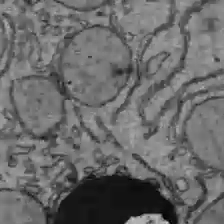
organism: C57BL Mouse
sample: Liver